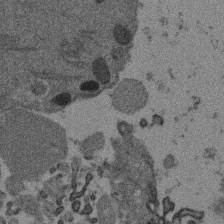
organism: Mouse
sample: Dividing mouse embryo 1 cell stage